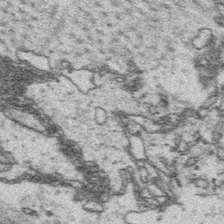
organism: Platynereis dumerilii